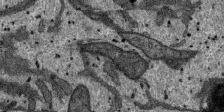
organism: Human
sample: Lung epithelial cells, uninfected (mock) control